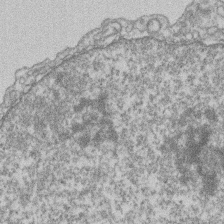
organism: Mouse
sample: T cell stromal cell synapse